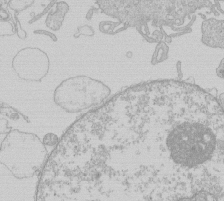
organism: Human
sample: Macrophage cells